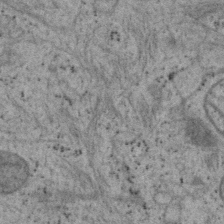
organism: Human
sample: HeLa cells